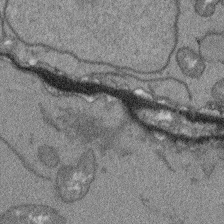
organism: Arabidopsis thaliana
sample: Root tip